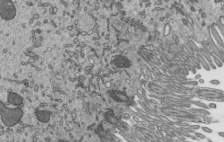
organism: Mouse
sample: Mouse epididymis efferent ductule cilia